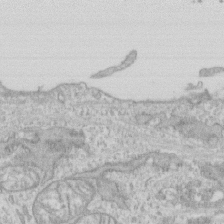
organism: Human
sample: CRL-1474